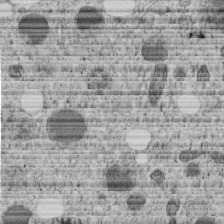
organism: C. elegans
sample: C. elegans embryo early stage